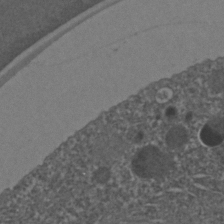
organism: C. elegans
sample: C. elegans embryo